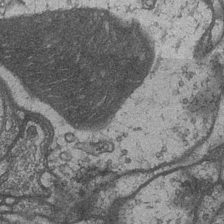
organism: Drosophila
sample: Optic medulla